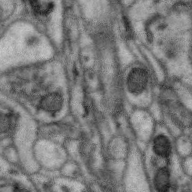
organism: Zebra finch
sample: Brain